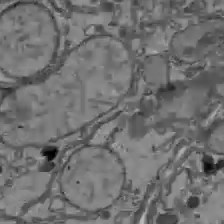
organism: C57BL Mouse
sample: Liver